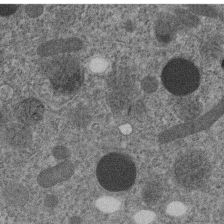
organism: C. elegans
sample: C. elegans embryo early stage